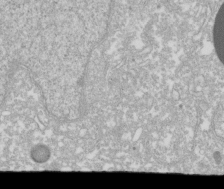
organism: Xenopus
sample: Cilia; centrioles in frog embryo cells